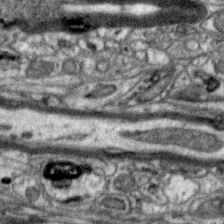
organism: Zebra finch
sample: Brain